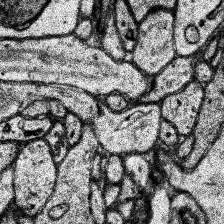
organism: Human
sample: Temporal Lobe